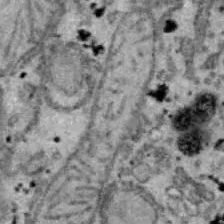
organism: Mouse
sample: Liver from an obese (ob/ob) mouse